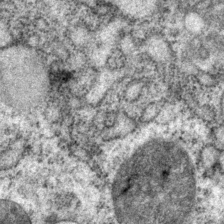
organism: P. pacificus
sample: Pharynx